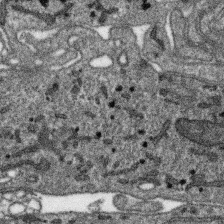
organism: Human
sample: Lung epithelial cells infected with SARS-CoV-2